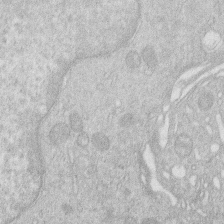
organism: Human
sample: Macrophage cells